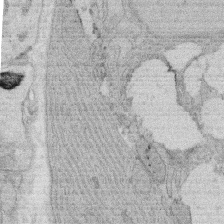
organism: Rat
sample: Salivary granule